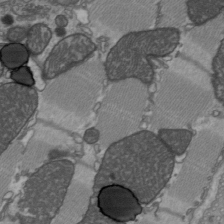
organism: C57BL Mouse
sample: Heart